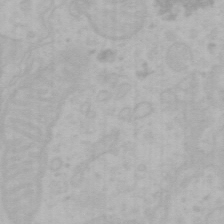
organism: Mouse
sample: Choroid plexus